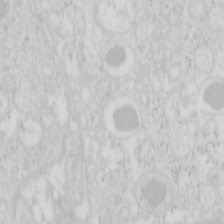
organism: Mouse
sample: Pancreas